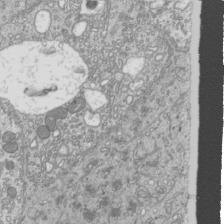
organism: Mouse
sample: Cilia; mouse epididymis